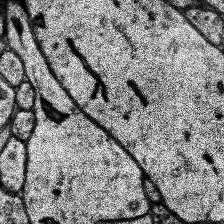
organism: Human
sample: Temporal Lobe